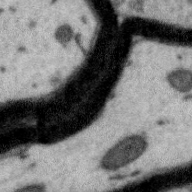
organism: Zebra finch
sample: Brain